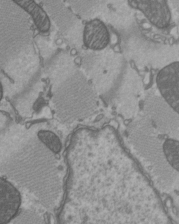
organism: C57BL Mouse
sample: Heart